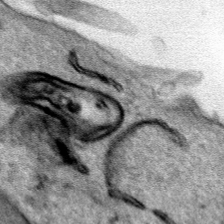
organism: Human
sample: Mitochondria in HCT116 cells